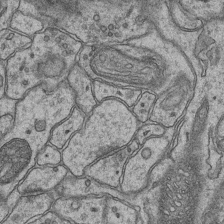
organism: Mouse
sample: CA1 Hippocampus